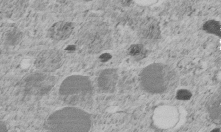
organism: C. elegans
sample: C. elegans embryo early stage